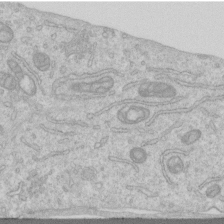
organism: Human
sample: Centriole in RPE cells